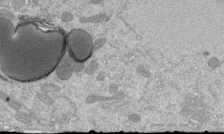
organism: Mouse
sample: ED-1 cell nuclei; centrioles